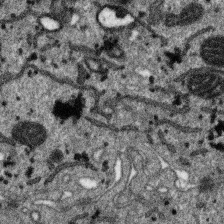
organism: Human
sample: Lung epithelial cells infected with SARS-CoV-2